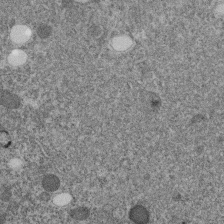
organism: C. elegans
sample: C. elegans embryo early stage